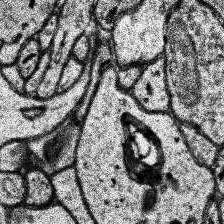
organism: Human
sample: Temporal Lobe